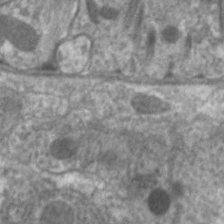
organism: C. elegans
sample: Pharynx